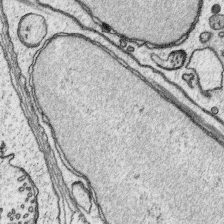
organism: Platynereis dumerilii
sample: Parapodia